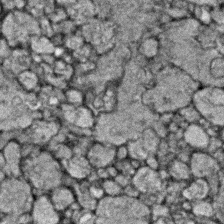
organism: Zebrafish